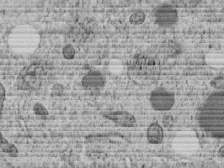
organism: C. elegans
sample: C. elegans embryo early stage